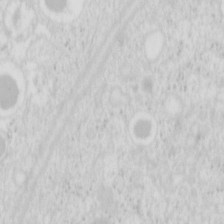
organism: Mouse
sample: Pancreas